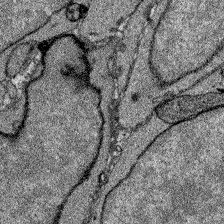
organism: Zebrafish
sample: Larval olfactory bulb